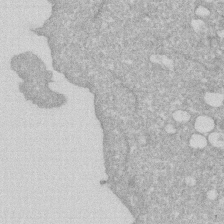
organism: Human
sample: HIV infected U937 cells